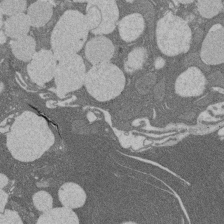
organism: Rat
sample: Salivary granule